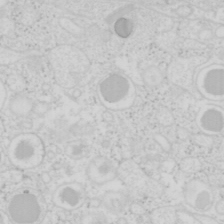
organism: Mouse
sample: Pancreas